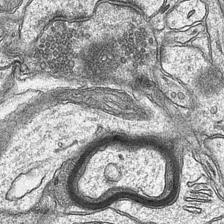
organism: Mouse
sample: CA1 Hippocampus